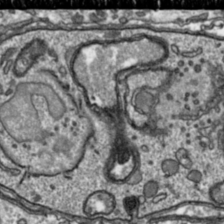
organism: Toxoplasma gondii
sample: Parasites in a vacuole inside a host cell